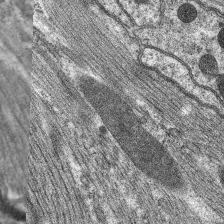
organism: C. elegans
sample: Pharynx